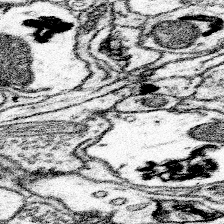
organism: Mouse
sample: Somatosensory cortex neuropil